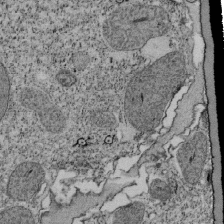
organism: Tetrahymena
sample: Cilia in tetrahymena